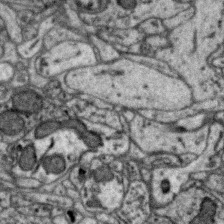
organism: Zebra finch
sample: Brain